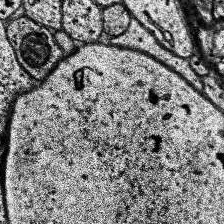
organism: Human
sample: Temporal Lobe